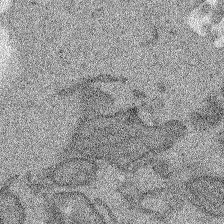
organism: Human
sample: HeLa cells